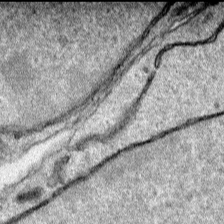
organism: Human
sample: Mitochondria in HCT116 cells